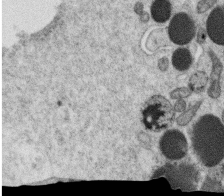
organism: C. elegans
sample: C. elegans oocyte; sperm cells